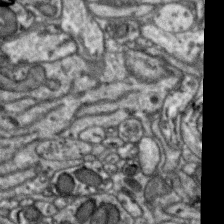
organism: Zebra finch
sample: Brain